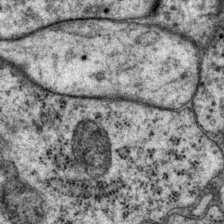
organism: P. pacificus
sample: Pharynx